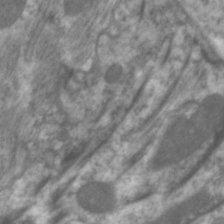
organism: C. elegans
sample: Pharynx